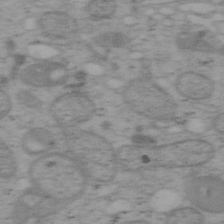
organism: Mouse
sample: OT-I killer T cells with ID8 ovarian cancer cells